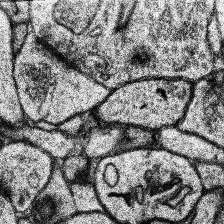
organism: Human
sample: Temporal Lobe